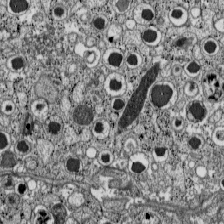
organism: C57BL Mouse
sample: Pancreatic islet